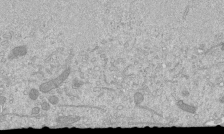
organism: Mouse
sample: ED-1 cell nuclei; centrioles